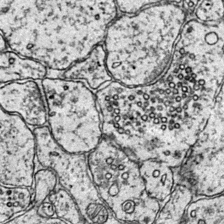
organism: Mouse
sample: Primary visual cortex